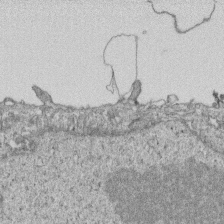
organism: Human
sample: HeLa cell HIV synapse